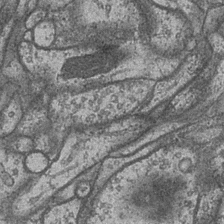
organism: Drosophila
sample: Optic medulla